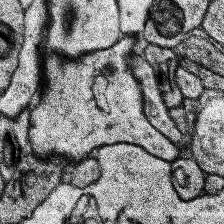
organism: Human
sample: Temporal Lobe